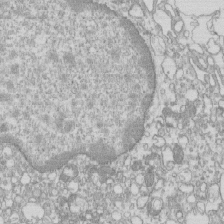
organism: Mouse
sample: Macrophages